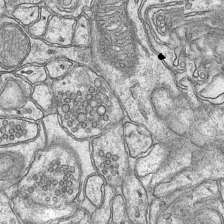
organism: Mouse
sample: CA1 Hippocampus